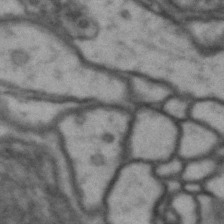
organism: Drosophila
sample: Brain